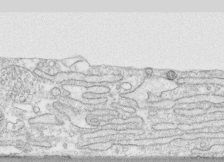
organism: Human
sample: CRL-1474